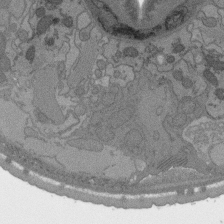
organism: C. elegans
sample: AFD neurons C. elegans